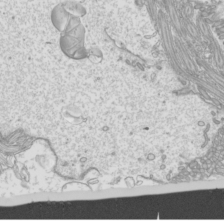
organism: Mouse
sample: Cilia; mouse epididymis